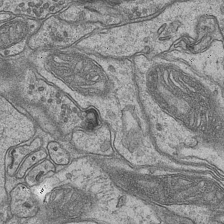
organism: Mouse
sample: CA1 Hippocampus